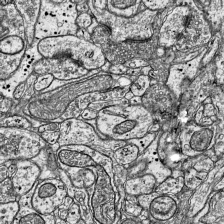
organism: Mouse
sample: Visual Cortex